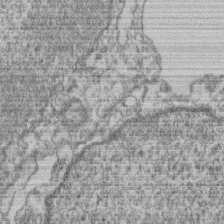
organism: Mouse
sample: T cell stromal cell synapse